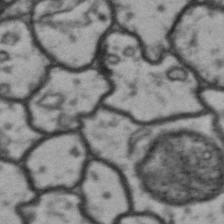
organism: Drosophila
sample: Brain